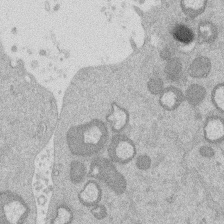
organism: Mouse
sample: Dividing mouse embryo 1 cell stage